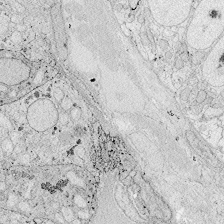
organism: Zebrafish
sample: Whole-Brain